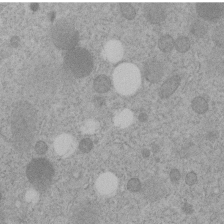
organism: C. elegans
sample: C. elegans embryo early stage